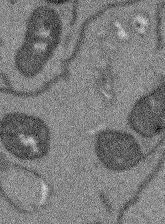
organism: Arabidopsis thaliana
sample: Root tip